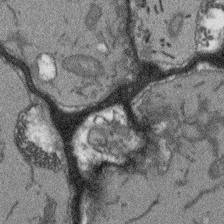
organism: Arabidopsis thaliana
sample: Root tip